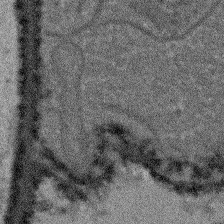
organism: Arabidopsis thaliana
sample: Root tip